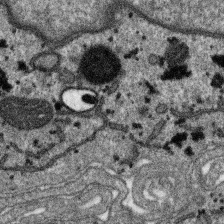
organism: Human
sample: Lung epithelial cells infected with SARS-CoV-2